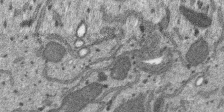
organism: Human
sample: Lung epithelial cells infected with SARS-CoV-2